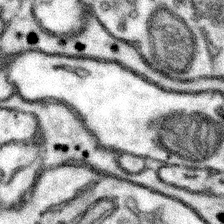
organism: Mouse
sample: Somatosensory cortex neuropil